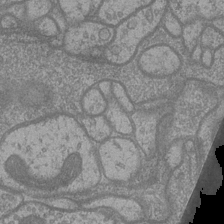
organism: Drosophila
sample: Optic medulla